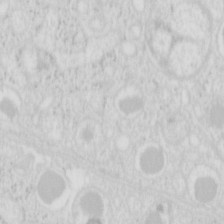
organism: Mouse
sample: Pancreas